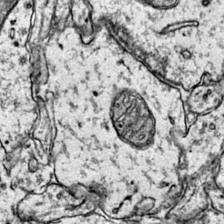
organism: Mouse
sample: Primary visual cortex